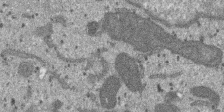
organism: Human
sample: Lung epithelial cells infected with SARS-CoV-2